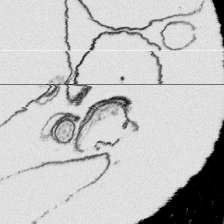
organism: Platynereis dumerilii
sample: Parapodia